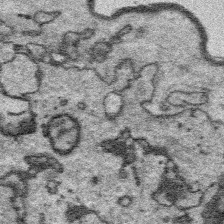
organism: Platynereis dumerilii